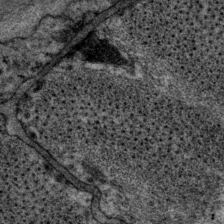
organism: P. pacificus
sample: Pharynx